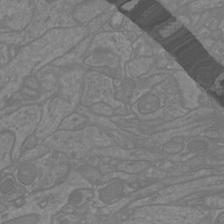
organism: Mouse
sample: Cortical neurons